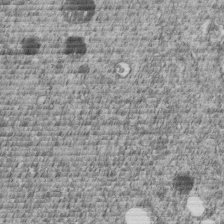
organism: C. elegans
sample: C. elegans embryo early stage